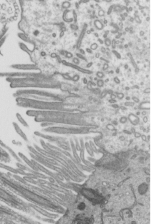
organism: Mouse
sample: Mouse epididymis efferent ductule cilia